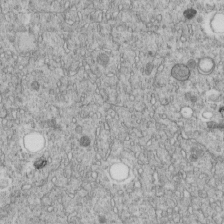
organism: C. elegans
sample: C. elegans embryo early stage